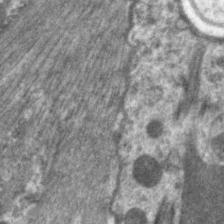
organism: C. elegans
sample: Pharynx